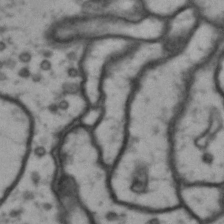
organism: Drosophila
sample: Brain